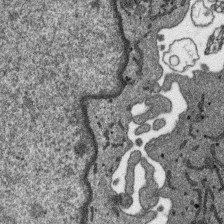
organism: Human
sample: Lung epithelial cells infected with SARS-CoV-2